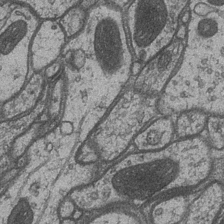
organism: Drosophila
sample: Optic medulla